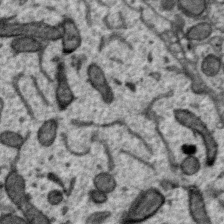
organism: Zebra finch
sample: Brain